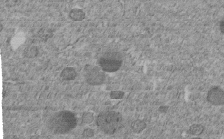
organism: C. elegans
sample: C. elegans embryo early stage